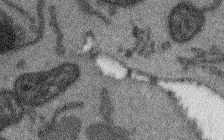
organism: Arabidopsis thaliana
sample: Root tip